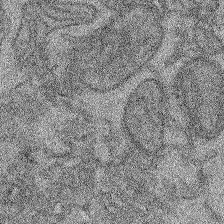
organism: Human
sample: HeLa cells